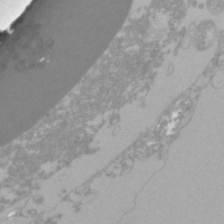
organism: Zebrafish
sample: Zebrafish embryo